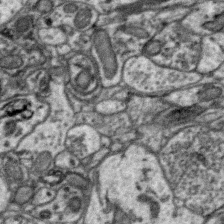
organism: Zebra finch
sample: Brain